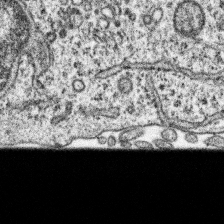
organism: Human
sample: HeLa cells